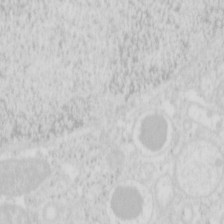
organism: Mouse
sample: Pancreas